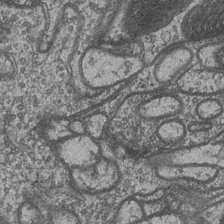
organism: Drosophila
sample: Optic medulla